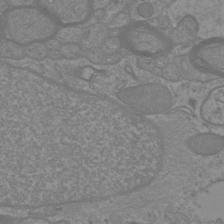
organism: Mouse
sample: Cortical neurons